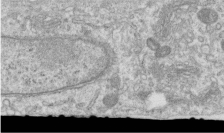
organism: Human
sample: Centriole in RPE cells